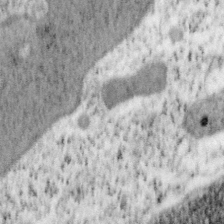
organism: Mouse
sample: OT-I killer T cells with ID8 ovarian cancer cells